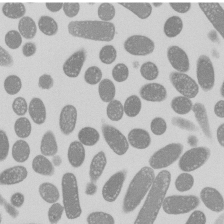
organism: E. coli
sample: Bacterial nucleoid